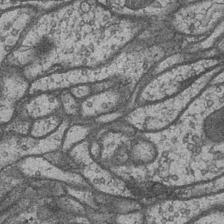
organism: Drosophila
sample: Optic medulla